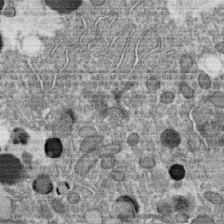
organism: C. elegans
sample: C. elegans oocyte; sperm cells